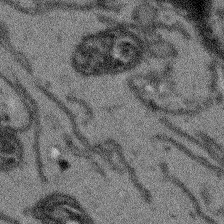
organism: Arabidopsis thaliana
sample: Root tip